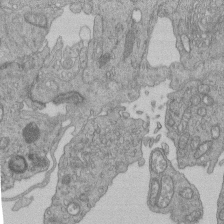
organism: Human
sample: Retinal organoid Rod and Cone cells